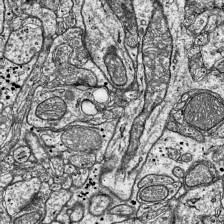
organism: Mouse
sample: Visual Cortex